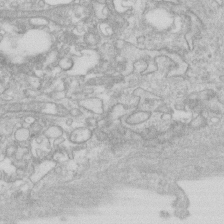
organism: Human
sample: Fibroblast cells